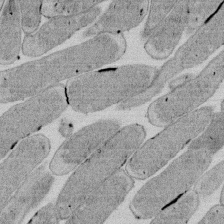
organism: E. coli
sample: Bacterial nucleoid